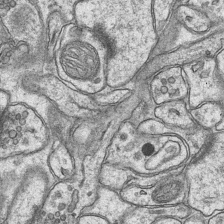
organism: Mouse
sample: CA1 Hippocampus